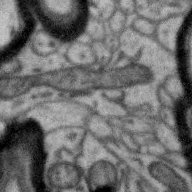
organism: Zebra finch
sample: Brain